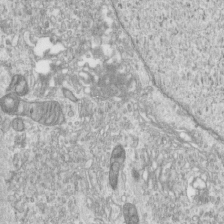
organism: Human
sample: Centriole in RPE cells